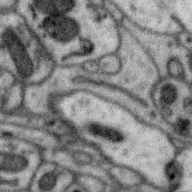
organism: Zebra finch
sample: Brain